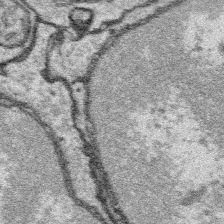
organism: Platynereis dumerilii